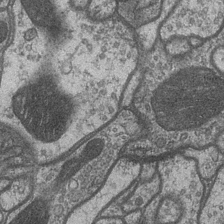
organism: Drosophila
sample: Optic medulla